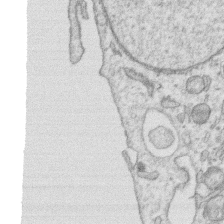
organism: Human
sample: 1205lu cells